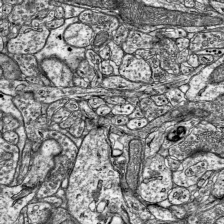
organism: Mouse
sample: Visual Cortex